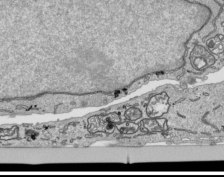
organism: Human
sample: Mitochondria in HCT116 cells